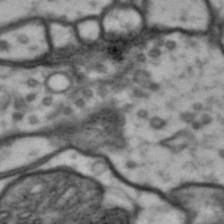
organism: Drosophila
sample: Brain